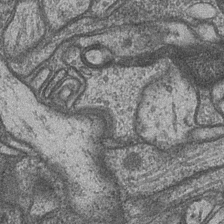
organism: Drosophila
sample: Optic medulla